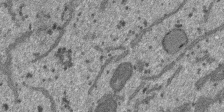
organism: Human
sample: Lung epithelial cells infected with SARS-CoV-2